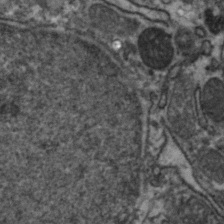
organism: Zebrafish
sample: Zebrafish embryo